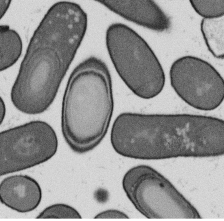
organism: B. subtilis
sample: Bacterial spore